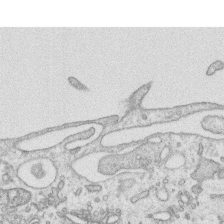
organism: Human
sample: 1205lu cells